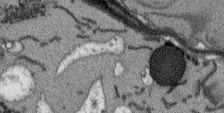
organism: Arabidopsis thaliana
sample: Root tip